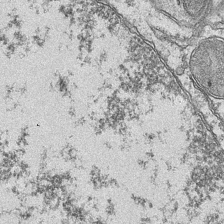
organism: Mouse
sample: CA1 Hippocampus